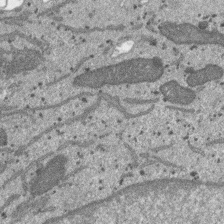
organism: Human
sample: Lung epithelial cells infected with SARS-CoV-2